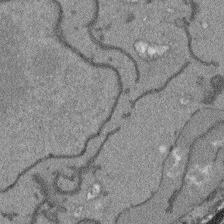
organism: Arabidopsis thaliana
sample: Root tip